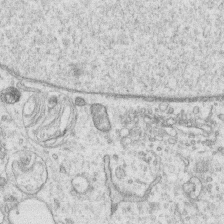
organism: Human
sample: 1205lu cells